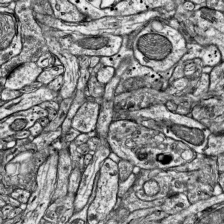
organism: Mouse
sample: Visual Cortex